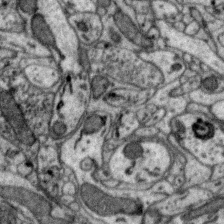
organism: Zebra finch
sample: Brain